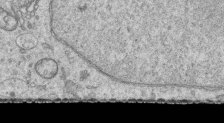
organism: Human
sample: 1205lu cells